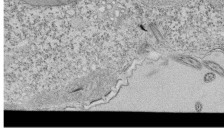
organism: Tetrahymena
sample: Cilia in tetrahymena